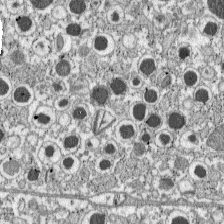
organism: C57BL Mouse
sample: Pancreatic islet